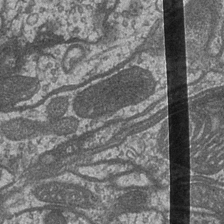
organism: Drosophila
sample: Optic medulla